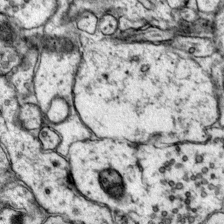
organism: Mouse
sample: Primary visual cortex